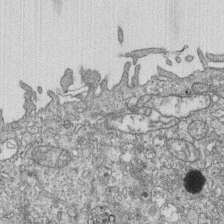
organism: Human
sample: HeLa cell HIV synapse